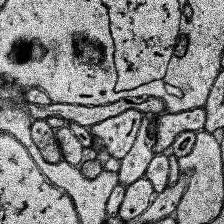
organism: Human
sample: Temporal Lobe